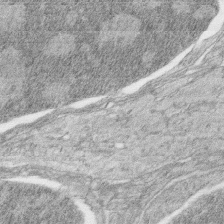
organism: Zebrafish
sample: synaptic ribbons in rod cells and cone cells